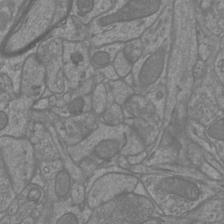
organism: Mouse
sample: Cortical neurons